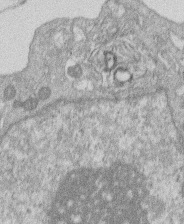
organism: Human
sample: Macrophage cells